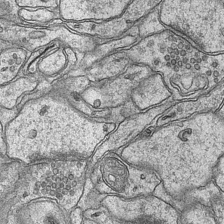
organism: Mouse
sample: CA1 Hippocampus